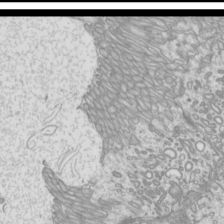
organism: Mouse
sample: Cilia; mouse epididymis